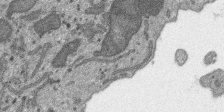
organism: Human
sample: Lung epithelial cells infected with SARS-CoV-2